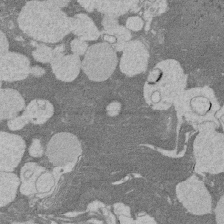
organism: Rat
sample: Salivary granule